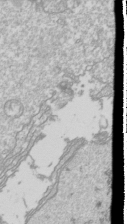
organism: Drosophila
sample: Cell division; meiosis; drosophila spermatocytes